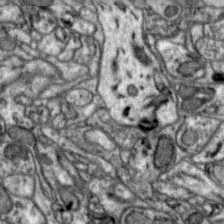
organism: Zebra finch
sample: Brain